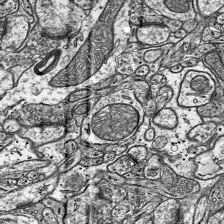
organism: Mouse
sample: Visual Cortex